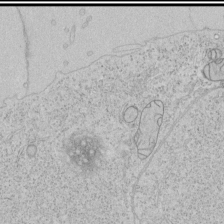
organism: Human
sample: Mitochondria in HCT116 cells